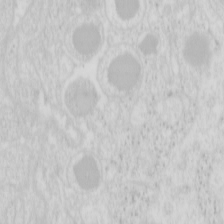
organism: Mouse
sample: Pancreas